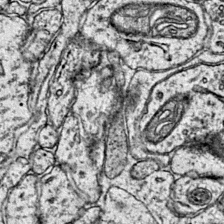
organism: Mouse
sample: Primary visual cortex